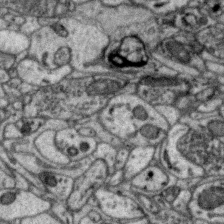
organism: Zebra finch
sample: Brain